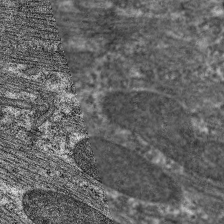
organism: C. elegans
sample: Pharynx